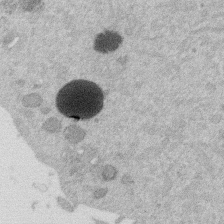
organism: Mouse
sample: Dividing mouse embryo 1 cell stage